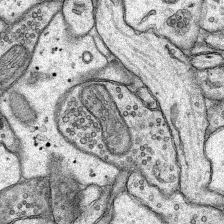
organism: Rat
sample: Hippocampus